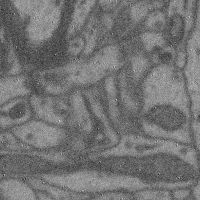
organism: Mouse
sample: Cerebral cortex